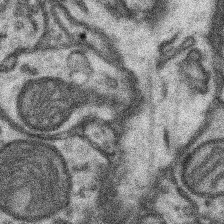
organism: Mouse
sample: Somatosensory cortex neuropil